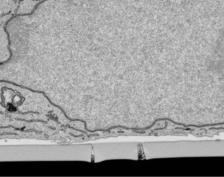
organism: Human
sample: Mitochondria in HCT116 cells